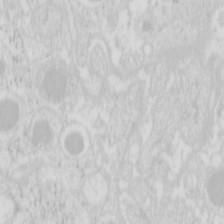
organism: Mouse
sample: Pancreas